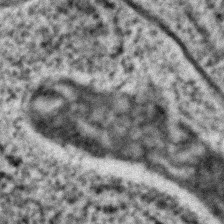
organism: C. elegans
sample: C. elegans embryo